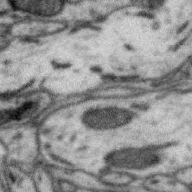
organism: Zebra finch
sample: Brain